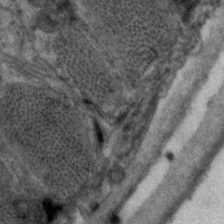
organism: C. elegans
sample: Pharynx